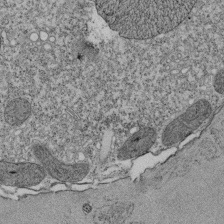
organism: Tetrahymena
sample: Cilia in tetrahymena